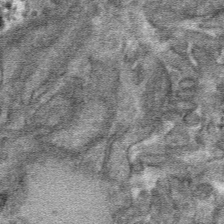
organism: Mouse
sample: Mouse hepatocytes